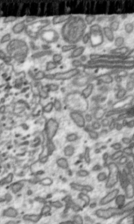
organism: Toxoplasma gondii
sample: Parasites in a vacuole inside a host cell